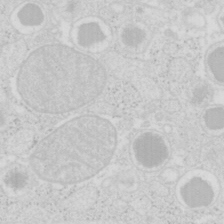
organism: Mouse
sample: Pancreas